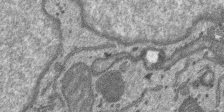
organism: Human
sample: Lung epithelial cells infected with SARS-CoV-2